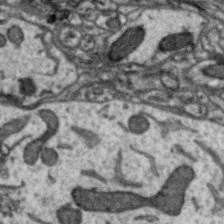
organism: Zebra finch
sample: Brain